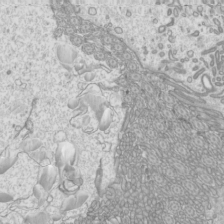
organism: Mouse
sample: Cilia; mouse epididymis